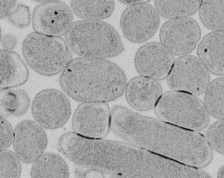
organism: E. coli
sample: Bacterial nucleoid